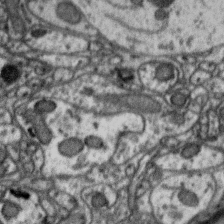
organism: Zebra finch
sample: Brain